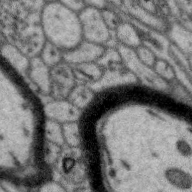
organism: Zebra finch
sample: Brain